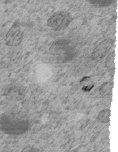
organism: C. elegans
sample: C. elegans embryo early stage